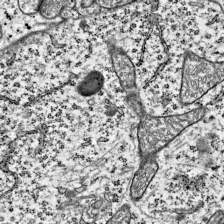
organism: Mouse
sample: Visual Cortex